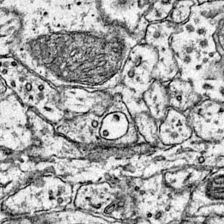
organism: Mouse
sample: Primary visual cortex